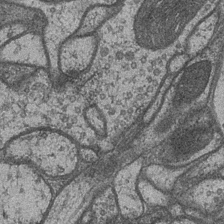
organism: Drosophila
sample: Optic medulla